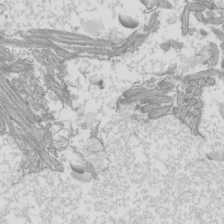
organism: Mouse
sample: Cilia; mouse epididymis